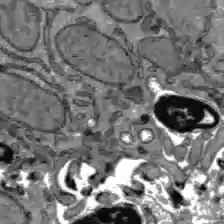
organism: C57BL Mouse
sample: Liver